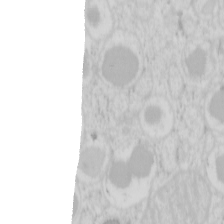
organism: Mouse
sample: Pancreas